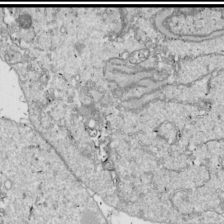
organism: Drosophila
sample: Cell division; meiosis; drosophila spermatocytes